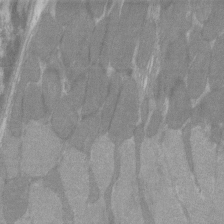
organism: C57BL Mouse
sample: Tibialis anterior muscle cell